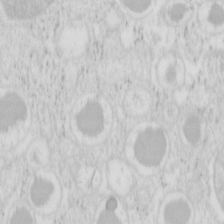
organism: Mouse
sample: Pancreas